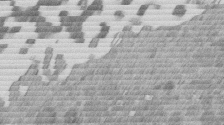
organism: Mouse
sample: Dividing mouse embryo 1 cell stage